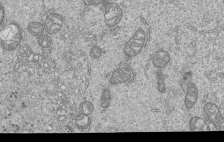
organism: Human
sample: MDA-MB-231 cells